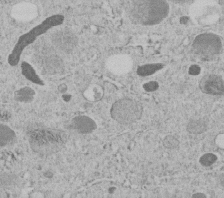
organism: C. elegans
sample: C. elegans embryo early stage